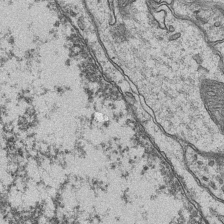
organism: Mouse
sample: CA1 Hippocampus